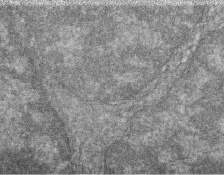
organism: Zebrafish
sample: Cilia; retinal pigment epithelium